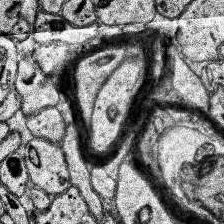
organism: Human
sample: Temporal Lobe